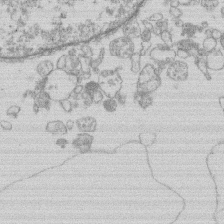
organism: Human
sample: Macrophage cells